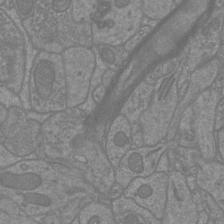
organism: Mouse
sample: Cortical neurons